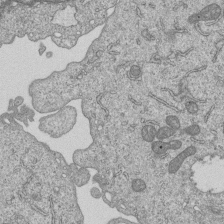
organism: Human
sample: MDA-MB-231 cells